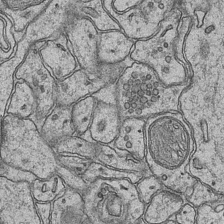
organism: Mouse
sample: CA1 Hippocampus